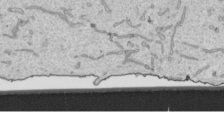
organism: Human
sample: Mitochondria in HCT116 cells